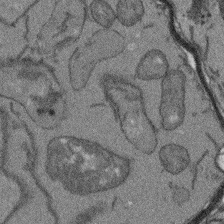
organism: Arabidopsis thaliana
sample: Root tip